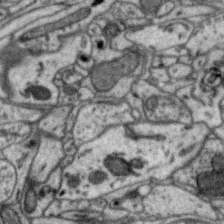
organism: Zebra finch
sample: Brain